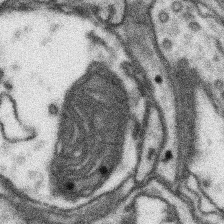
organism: Mouse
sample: Somatosensory cortex neuropil